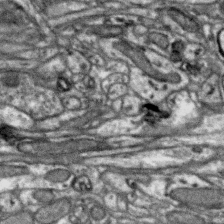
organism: Zebra finch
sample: Brain